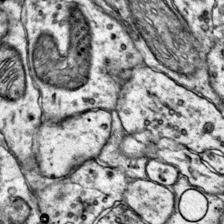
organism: Mouse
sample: Primary visual cortex